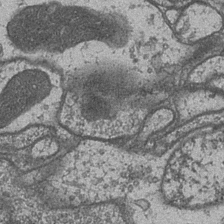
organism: Drosophila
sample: Optic medulla